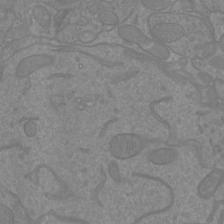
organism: Mouse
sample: Cortical neurons